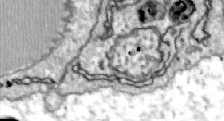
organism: Zebrafish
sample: Actinotrichia fibers